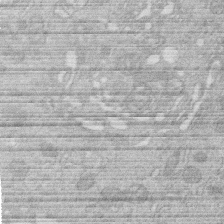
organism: Human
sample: Macrophage cells